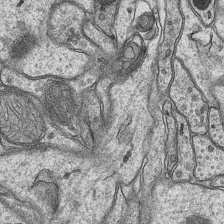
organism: Mouse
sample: CA1 Hippocampus